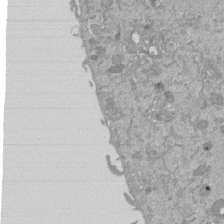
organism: Mouse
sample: ED-1 cell nuclei; centrioles